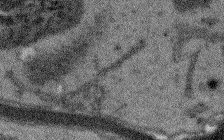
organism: Arabidopsis thaliana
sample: Root tip